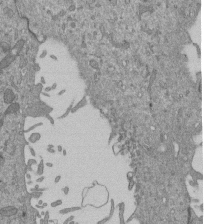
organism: Mouse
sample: ED-1 cell nuclei; centrioles